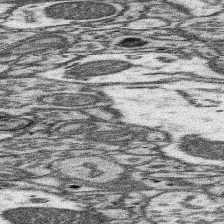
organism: Mouse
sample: Somatosensory cortex neuropil